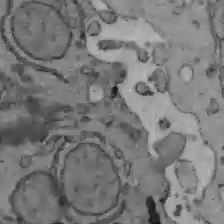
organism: C57BL Mouse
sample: Liver